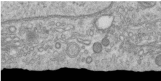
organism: Human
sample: Centriole in RPE cells